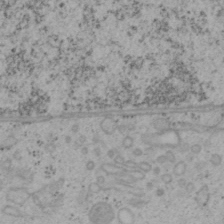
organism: Human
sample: HeLa cells